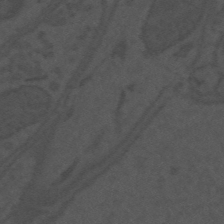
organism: Mouse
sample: Suprachiasmatic nucleus